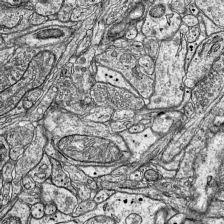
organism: Mouse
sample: Visual Cortex